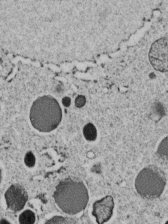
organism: C. elegans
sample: C. elegans embryo early stage